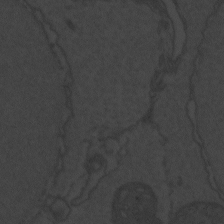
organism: Zebrafish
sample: Macrophage infected with Toxoplasma gondii